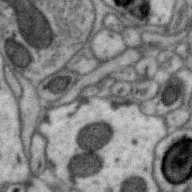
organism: Zebra finch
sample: Brain